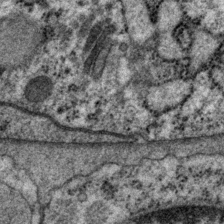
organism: P. pacificus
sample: Pharynx